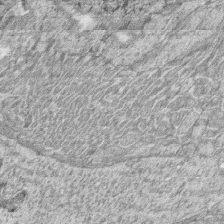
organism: Zebrafish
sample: synaptic ribbons in rod cells and cone cells